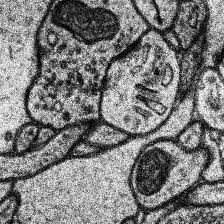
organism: Human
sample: Temporal Lobe